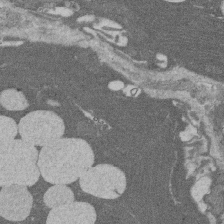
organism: Rat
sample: Salivary granule